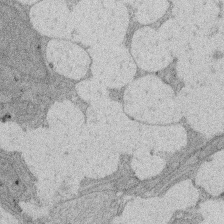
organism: Rat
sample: Salivary granule